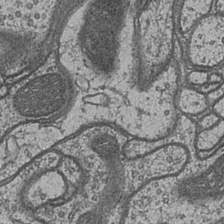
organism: Drosophila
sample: Optic medulla